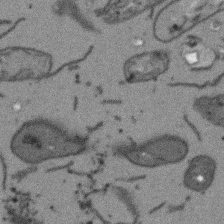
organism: Arabidopsis thaliana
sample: Root tip